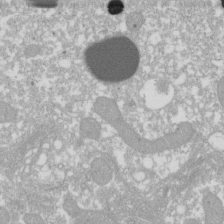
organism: Xenopus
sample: Cilia; centrioles in frog embryo cells